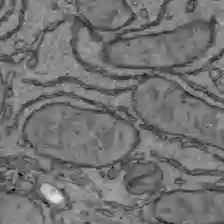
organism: C57BL Mouse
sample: Liver